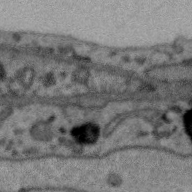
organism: Zebra finch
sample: Brain